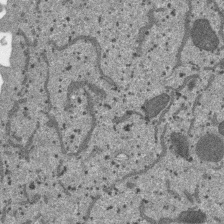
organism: Human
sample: Lung epithelial cells infected with SARS-CoV-2